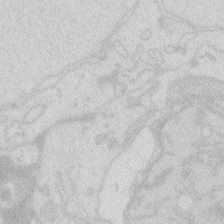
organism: Zebrafish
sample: Macrophage